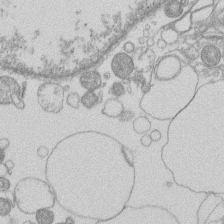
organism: Human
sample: Macrophage cells